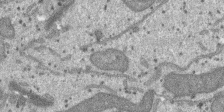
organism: Human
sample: Lung epithelial cells infected with SARS-CoV-2